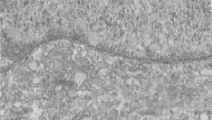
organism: Human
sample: Centriole in RPE cells